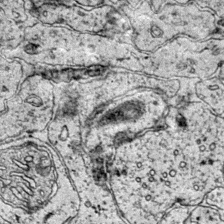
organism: Mouse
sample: Primary visual cortex